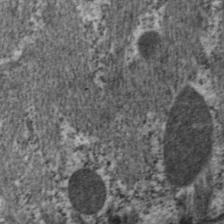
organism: C. elegans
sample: Pharynx